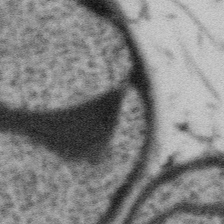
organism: Gemmata obscuriglobus